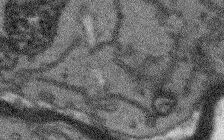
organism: Arabidopsis thaliana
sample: Root tip